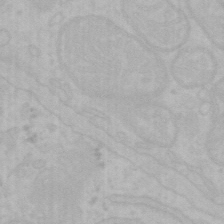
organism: Mouse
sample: Choroid plexus